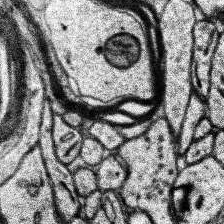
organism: Human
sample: Temporal Lobe